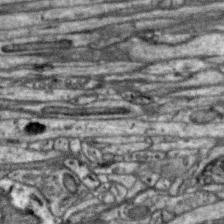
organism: Zebra finch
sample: Brain